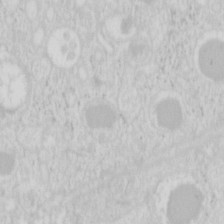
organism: Mouse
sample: Pancreas